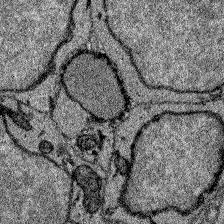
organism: Zebrafish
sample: Larval olfactory bulb